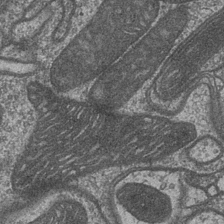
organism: Drosophila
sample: Optic medulla